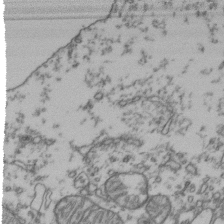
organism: Human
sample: Activated Jurkat CD4+ T cells